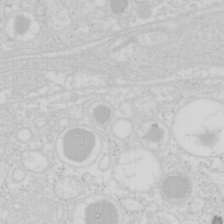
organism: Mouse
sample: Pancreas